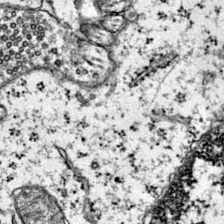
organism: Mouse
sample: Primary visual cortex